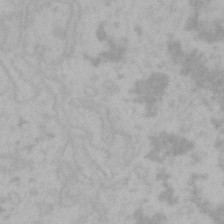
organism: Mouse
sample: Choroid plexus